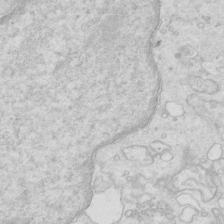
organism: Mouse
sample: Multiciliated cells